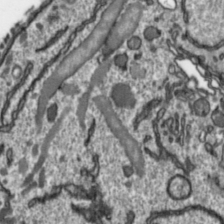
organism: Toxoplasma gondii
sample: Parasites in a vacuole inside a host cell